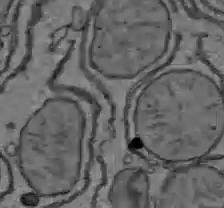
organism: C57BL Mouse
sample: Liver